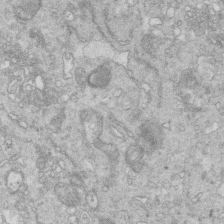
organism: Mouse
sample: Multiciliated cells